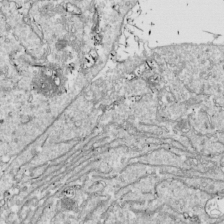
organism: Drosophila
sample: Cell division; meiosis; drosophila spermatocytes